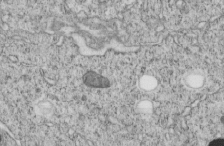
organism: C. elegans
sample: C. elegans embryo early stage